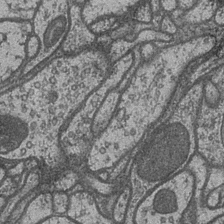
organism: Drosophila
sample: Optic medulla